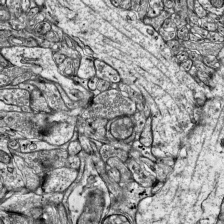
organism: Mouse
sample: Visual Cortex